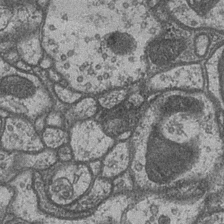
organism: Drosophila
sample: Optic medulla